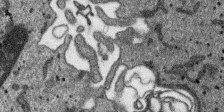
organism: Human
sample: Lung epithelial cells infected with SARS-CoV-2